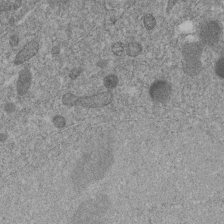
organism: C. elegans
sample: C. elegans embryo early stage